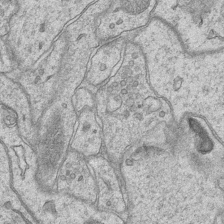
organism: Mouse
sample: CA1 Hippocampus